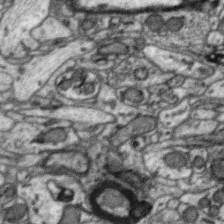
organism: Zebra finch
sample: Brain